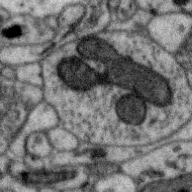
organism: Zebra finch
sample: Brain